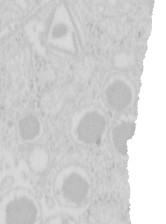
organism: Mouse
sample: Pancreas